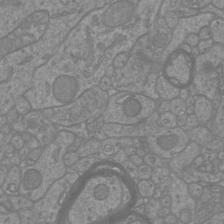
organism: Mouse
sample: Cortical neurons